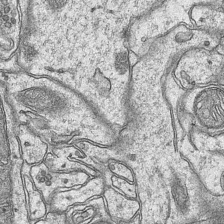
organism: Mouse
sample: CA1 Hippocampus